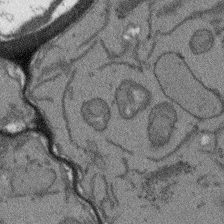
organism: Arabidopsis thaliana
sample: Root tip